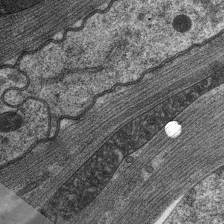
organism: C. elegans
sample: Pharynx